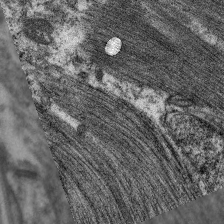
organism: C. elegans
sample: Pharynx